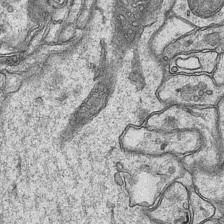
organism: Mouse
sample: CA1 Hippocampus